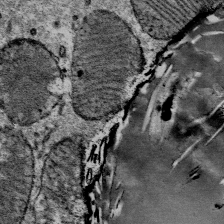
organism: Mouse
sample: Mouse Salivary gland